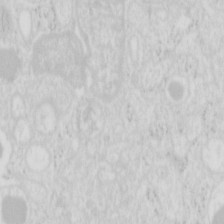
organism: Mouse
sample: Pancreas